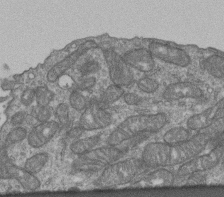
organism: Human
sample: Retinal organoid Rod and Cone cells